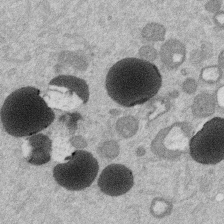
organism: Mouse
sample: Dividing mouse embryo 1 cell stage